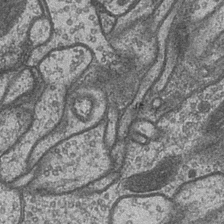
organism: Drosophila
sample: Optic medulla